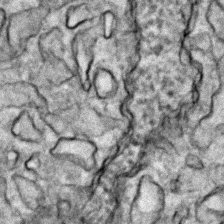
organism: Zebrafish